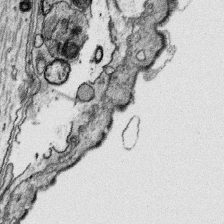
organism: Platynereis dumerilii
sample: Parapodia